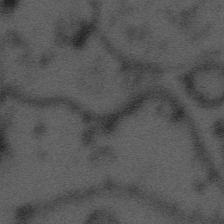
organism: Tuwongella immobilis